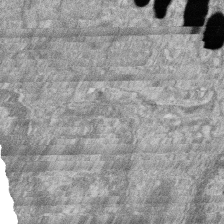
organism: Zebrafish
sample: Cilia; retinal pigment epithelium